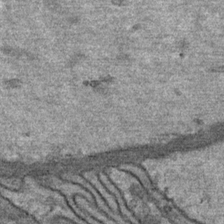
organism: Mouse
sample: Mouse Salivary gland